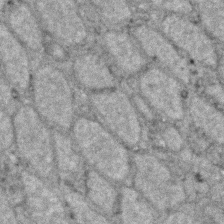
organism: Zebrafish